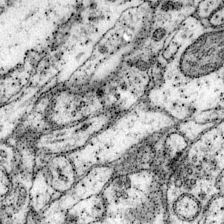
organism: Mouse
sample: Primary visual cortex